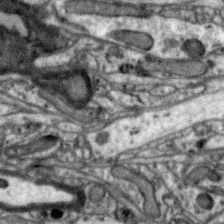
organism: Zebra finch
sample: Brain